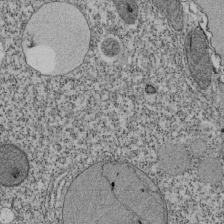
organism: Tetrahymena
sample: Cilia in tetrahymena